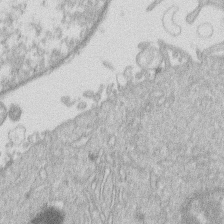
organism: Human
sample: Macrophage cells